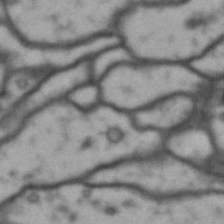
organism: Drosophila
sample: Brain